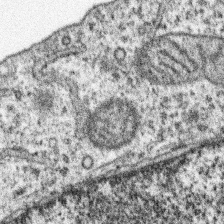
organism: Human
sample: HeLa cells